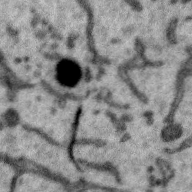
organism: Zebra finch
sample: Brain